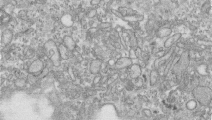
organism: Human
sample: Centriole in RPE cells